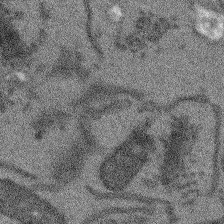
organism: Arabidopsis thaliana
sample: Root tip